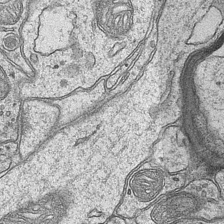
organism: Mouse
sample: CA1 Hippocampus